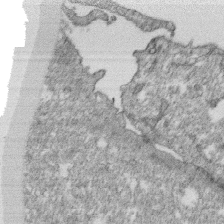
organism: African green monkey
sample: Vero E6 cells infected with SARS-CoV-2